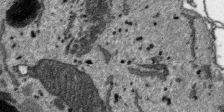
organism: Human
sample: Lung epithelial cells, uninfected (mock) control